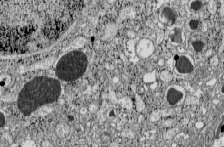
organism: C57BL Mouse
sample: Pancreatic islet